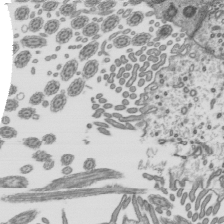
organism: Mouse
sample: Mouse epididymis efferent ductule cilia